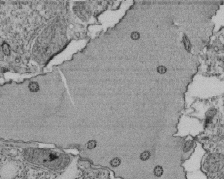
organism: Tetrahymena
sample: Cilia in tetrahymena